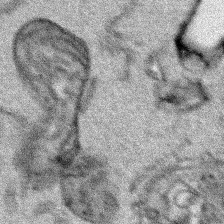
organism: Human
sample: Mitochondria in HCT116 cells